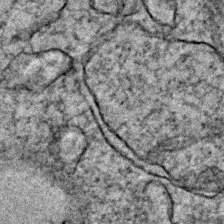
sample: Trachea